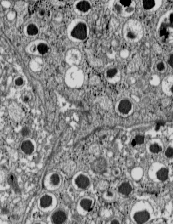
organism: C57BL Mouse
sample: Pancreatic islet